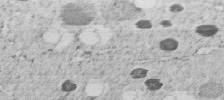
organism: C. elegans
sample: C. elegans embryo early stage